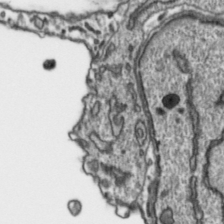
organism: Toxoplasma gondii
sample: Parasites in a vacuole inside a host cell